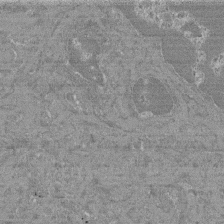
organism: Mouse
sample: Glomerulus